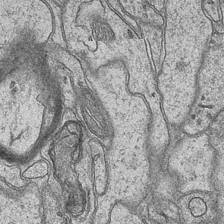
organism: Mouse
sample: CA1 Hippocampus